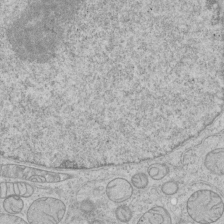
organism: Human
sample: Mitochondria in HCT116 cells